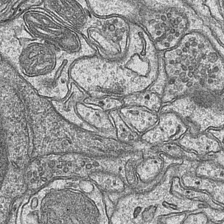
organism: Mouse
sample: CA1 Hippocampus